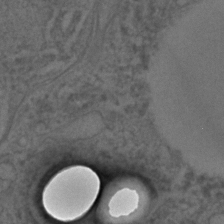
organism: C. elegans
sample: C. elegans embryo